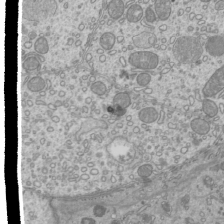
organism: Mouse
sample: Cilia; mouse epididymis